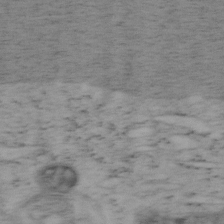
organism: Mouse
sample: OT-I killer T cells with ID8 ovarian cancer cells